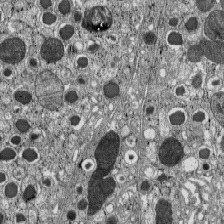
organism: C57BL Mouse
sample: Pancreatic islet